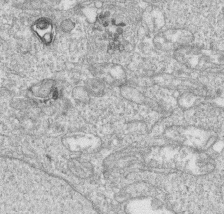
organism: Human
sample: HeLa cell HIV synapse